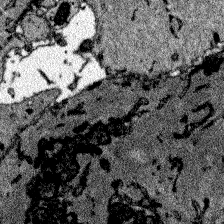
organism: Zebrafish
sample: Larval olfactory bulb